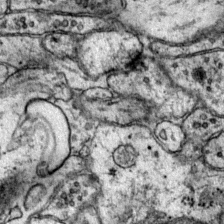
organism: Mouse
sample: Primary visual cortex